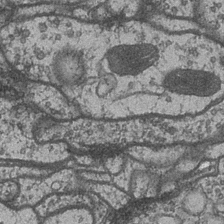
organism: Drosophila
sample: Optic medulla